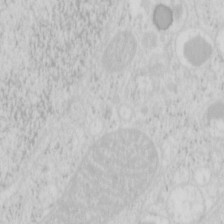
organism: Mouse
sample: Pancreas